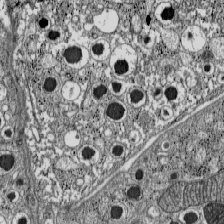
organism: C57BL Mouse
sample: Pancreatic islet